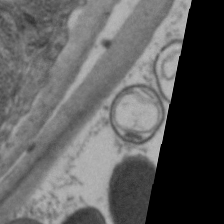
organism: C. elegans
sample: Pharynx